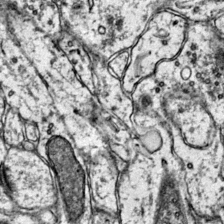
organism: Mouse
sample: Primary visual cortex